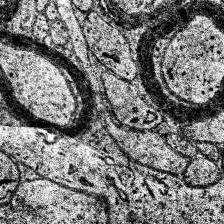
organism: Human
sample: Temporal Lobe